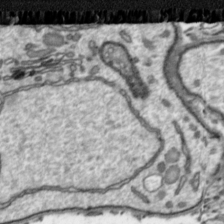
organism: Toxoplasma gondii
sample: Parasites in a vacuole inside a host cell